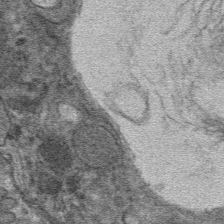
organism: Mouse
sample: Mouse hepatocytes